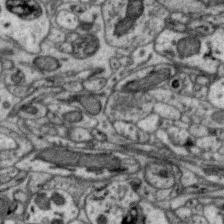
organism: Zebra finch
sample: Brain